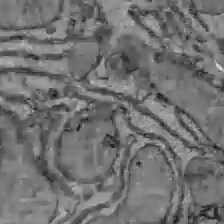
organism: C57BL Mouse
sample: Liver